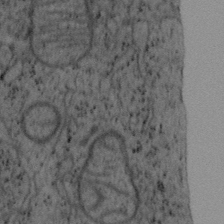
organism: Human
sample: HeLa cells